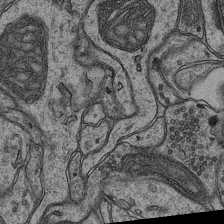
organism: Mouse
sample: CA1 Hippocampus